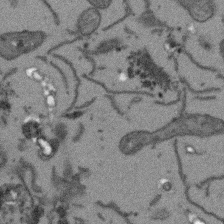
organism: Arabidopsis thaliana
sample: Root tip